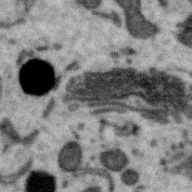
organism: Zebra finch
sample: Brain